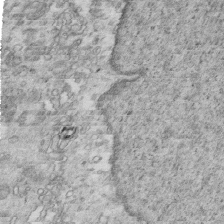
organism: Mouse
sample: Multiciliated cells